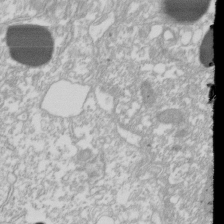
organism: Xenopus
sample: Cilia; centrioles in frog embryo cells